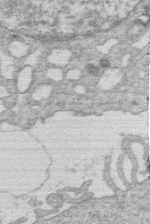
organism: Human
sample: Macrophage cells